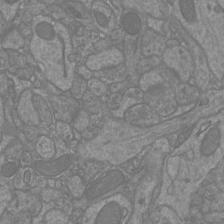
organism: Mouse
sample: Cortical neurons